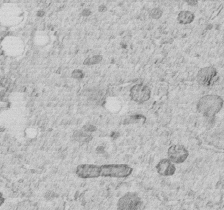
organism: C. elegans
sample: C. elegans embryo early stage